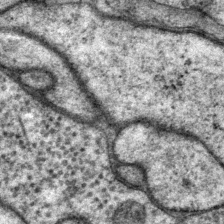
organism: P. pacificus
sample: Pharynx